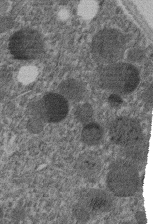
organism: C. elegans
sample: C. elegans embryo early stage